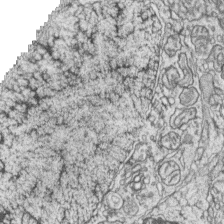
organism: Zebrafish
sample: synaptic ribbons in rod cells and cone cells